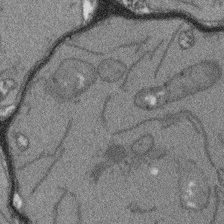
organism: Arabidopsis thaliana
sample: Root tip